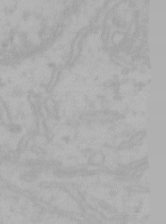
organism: Mouse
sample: Choroid plexus